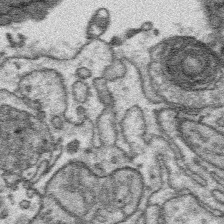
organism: Platynereis dumerilii